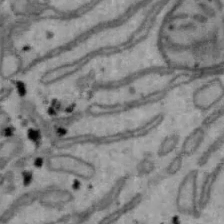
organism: Mouse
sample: Liver